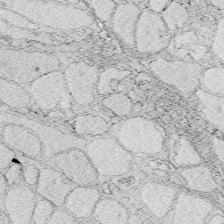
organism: Zebrafish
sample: Whole-Brain